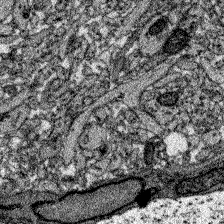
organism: Zebrafish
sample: Larval olfactory bulb